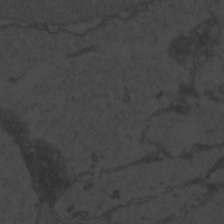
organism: Zebrafish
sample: Macrophage infected with Toxoplasma gondii